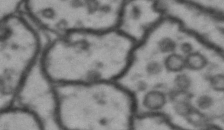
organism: Drosophila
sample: Brain